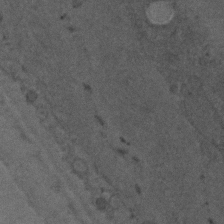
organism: C. elegans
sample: C. elegans embryo